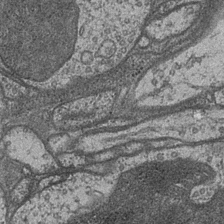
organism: Drosophila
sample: Optic medulla